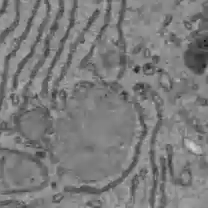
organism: C57BL Mouse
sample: Liver